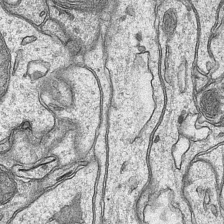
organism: Mouse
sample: CA1 Hippocampus